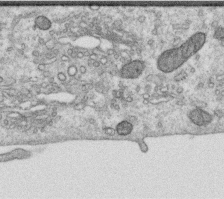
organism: Human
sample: Centriole in RPE cells